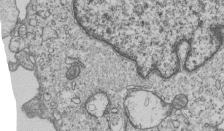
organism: Human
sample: MDA-MB-231 cells